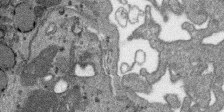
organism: Human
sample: Lung epithelial cells infected with SARS-CoV-2